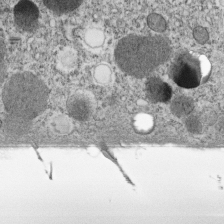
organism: C. elegans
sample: C. elegans embryo early stage